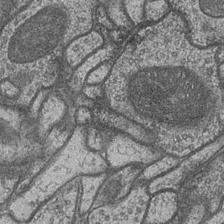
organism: Drosophila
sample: Optic medulla